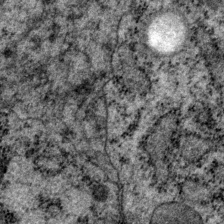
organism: P. pacificus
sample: Pharynx